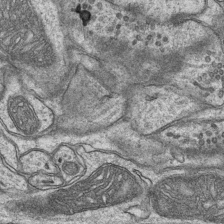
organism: Mouse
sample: CA1 Hippocampus